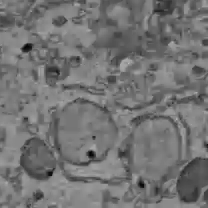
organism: C57BL Mouse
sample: Liver